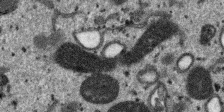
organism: Human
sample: Lung epithelial cells infected with SARS-CoV-2